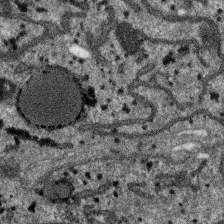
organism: Human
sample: Lung epithelial cells infected with SARS-CoV-2